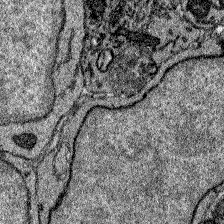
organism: Zebrafish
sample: Larval olfactory bulb